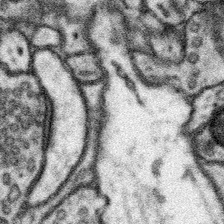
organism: Mouse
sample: Somatosensory cortex neuropil